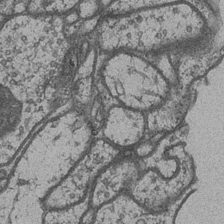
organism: Drosophila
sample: Optic medulla